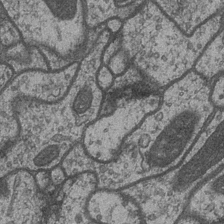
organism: Drosophila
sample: Optic medulla